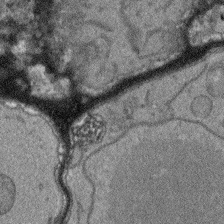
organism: Arabidopsis thaliana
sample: Root tip